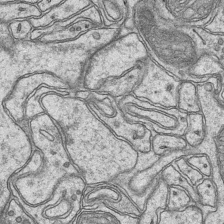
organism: Mouse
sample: CA1 Hippocampus